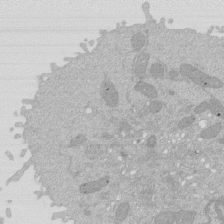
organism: Mouse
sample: Activated Pmel transgenic CD8+ T Cells